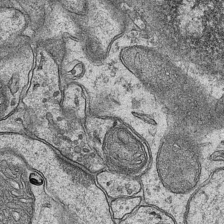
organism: Mouse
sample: CA1 Hippocampus